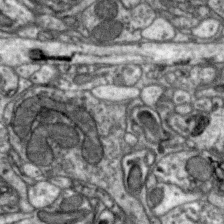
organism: Zebra finch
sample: Brain